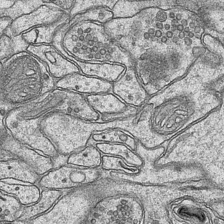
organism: Mouse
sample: CA1 Hippocampus